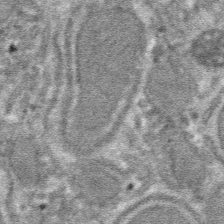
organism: Mouse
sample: Mouse hepatocytes